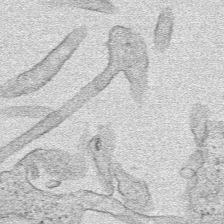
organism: Human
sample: Mitochondria in HCT116 cells